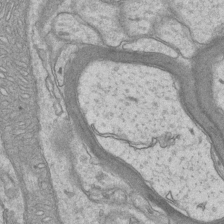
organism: Mouse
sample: CA1 Hippocampus